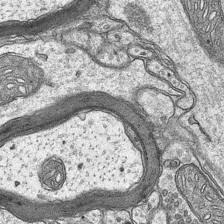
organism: Mouse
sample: CA1 Hippocampus